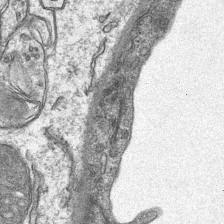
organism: Mouse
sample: CA1 Hippocampus